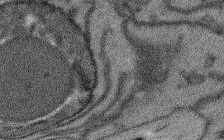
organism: Arabidopsis thaliana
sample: Root tip